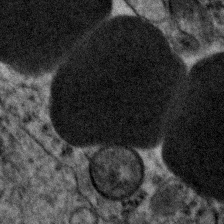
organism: Human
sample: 1205lu cells